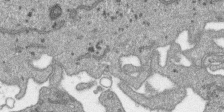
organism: Human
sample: Lung epithelial cells infected with SARS-CoV-2